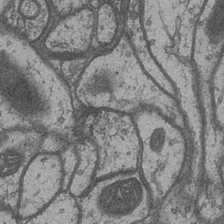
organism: Drosophila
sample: Optic medulla